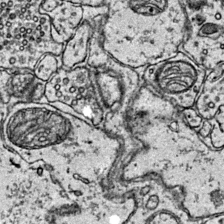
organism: Mouse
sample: Primary visual cortex